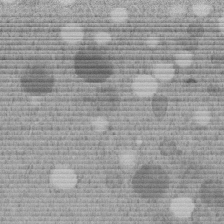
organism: C. elegans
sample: C. elegans embryo early stage